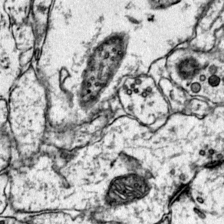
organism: Mouse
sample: Primary visual cortex